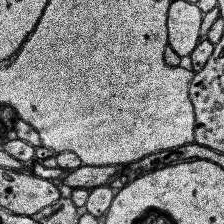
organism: Human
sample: Temporal Lobe